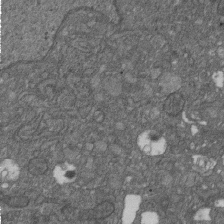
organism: Drosophila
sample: Nephrocyte